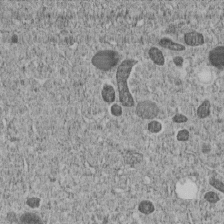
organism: C. elegans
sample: C. elegans embryo early stage